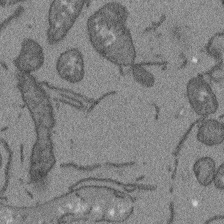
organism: Arabidopsis thaliana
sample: Root tip